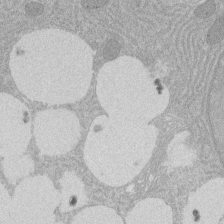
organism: Rat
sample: Salivary granule